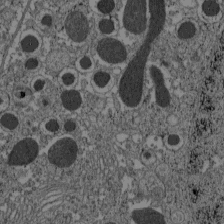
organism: C57BL Mouse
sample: Pancreatic islet